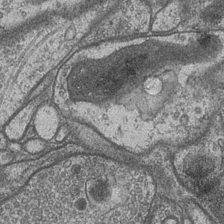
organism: Drosophila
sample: Optic medulla